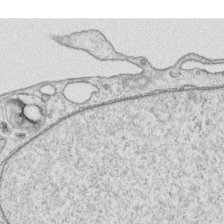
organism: Human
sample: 1205lu cells